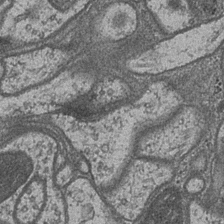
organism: Drosophila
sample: Optic medulla